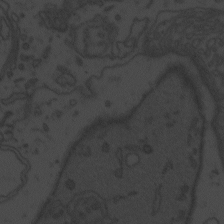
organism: Zebrafish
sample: Macrophage infected with Toxoplasma gondii